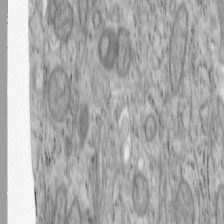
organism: Human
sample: HeLa cells